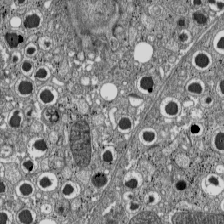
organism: C57BL Mouse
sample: Pancreatic islet